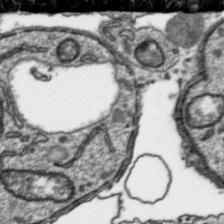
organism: Toxoplasma gondii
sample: Parasites in a vacuole inside a host cell